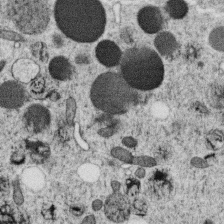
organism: C. elegans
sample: C. elegans oocyte; sperm cells